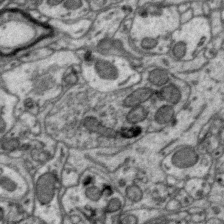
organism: Zebra finch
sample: Brain